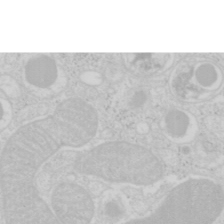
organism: Mouse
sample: Pancreas